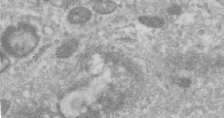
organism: Human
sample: Centriole in RPE cells